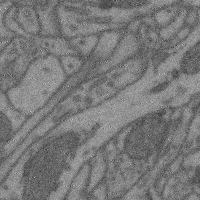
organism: Mouse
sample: Cerebral cortex